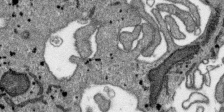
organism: Human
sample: Lung epithelial cells, uninfected (mock) control